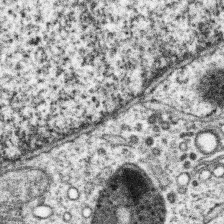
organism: Human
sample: HeLa cells